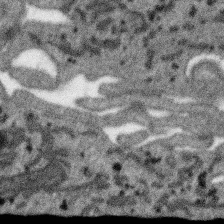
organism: Human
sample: Lung epithelial cells infected with SARS-CoV-2